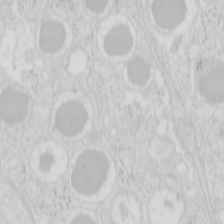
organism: Mouse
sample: Pancreas